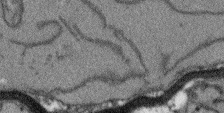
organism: Arabidopsis thaliana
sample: Root tip